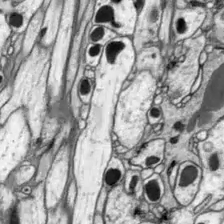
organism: Drosophila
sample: Optic lobe